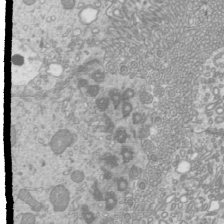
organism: Mouse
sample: Cilia; mouse epididymis